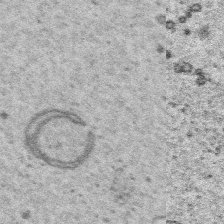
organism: Platynereis dumerilii